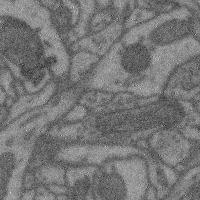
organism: Mouse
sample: Cerebral cortex